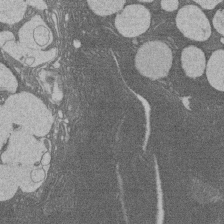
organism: Rat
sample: Salivary granule